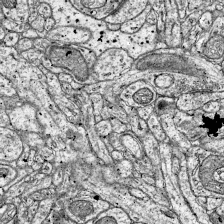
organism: Mouse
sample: Visual Cortex